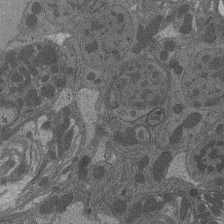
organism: Drosophila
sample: Antenna